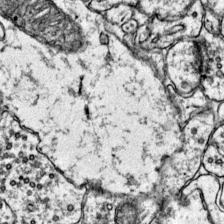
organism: Mouse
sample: Primary visual cortex